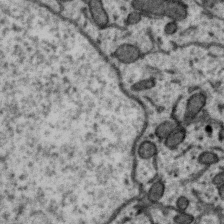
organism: Zebra finch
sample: Brain